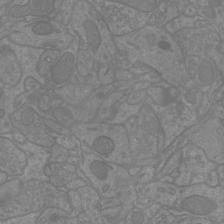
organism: Mouse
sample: Cortical neurons